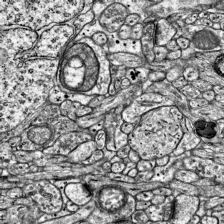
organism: Mouse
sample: Visual Cortex